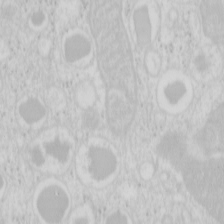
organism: Mouse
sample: Pancreas